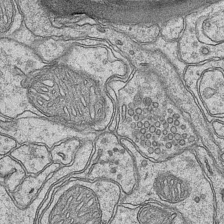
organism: Mouse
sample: CA1 Hippocampus